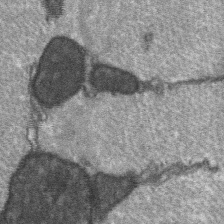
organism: C57BL Mouse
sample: Soleus